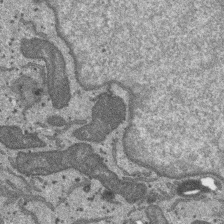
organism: Human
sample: Lung epithelial cells infected with SARS-CoV-2